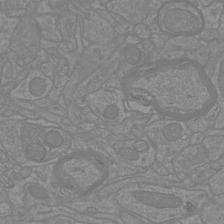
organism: Mouse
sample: Cortical neurons